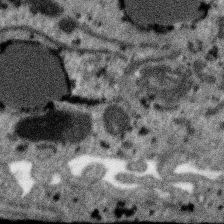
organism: Human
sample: Lung epithelial cells infected with SARS-CoV-2